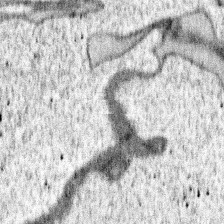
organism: Human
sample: HeLa cells